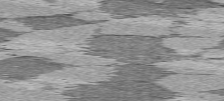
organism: C57BL Mouse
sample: Heart